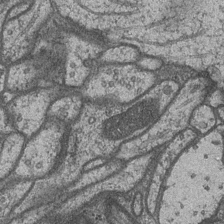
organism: Drosophila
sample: Optic medulla